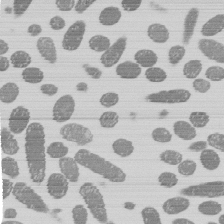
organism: E. coli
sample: Bacterial nucleoid